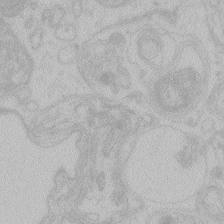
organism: Zebrafish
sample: Macrophage infected with Toxoplasma gondii